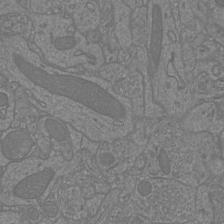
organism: Mouse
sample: Cortical neurons